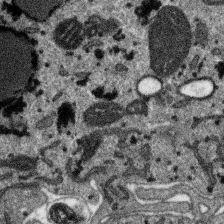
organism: Human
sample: Lung epithelial cells infected with SARS-CoV-2